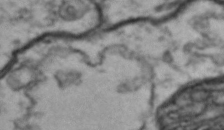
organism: Drosophila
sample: Brain